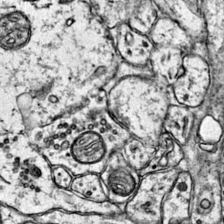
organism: Mouse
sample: Primary visual cortex